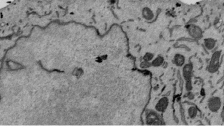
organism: Mouse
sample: ED-1 cell nuclei; centrioles